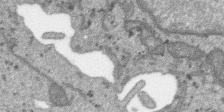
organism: Human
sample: Lung epithelial cells infected with SARS-CoV-2